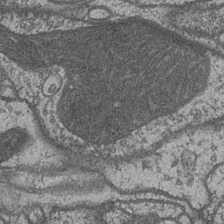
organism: Drosophila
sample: Optic medulla